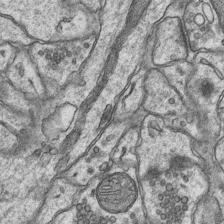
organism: Mouse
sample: CA1 Hippocampus